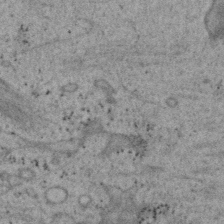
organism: Human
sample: HeLa cells